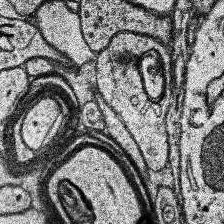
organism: Human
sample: Temporal Lobe